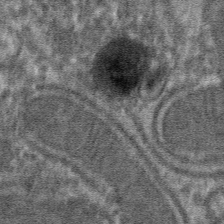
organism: Mouse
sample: Mouse hepatocytes